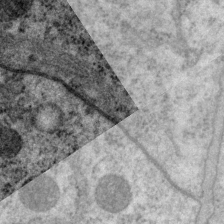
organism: P. pacificus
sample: Pharynx